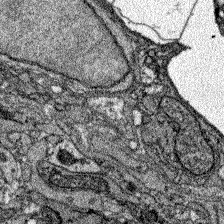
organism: Zebrafish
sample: Larval olfactory bulb